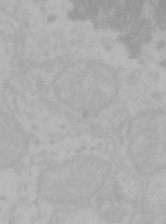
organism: Mouse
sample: Choroid plexus